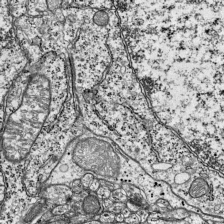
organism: Mouse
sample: Visual Cortex